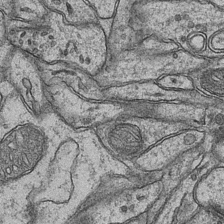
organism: Mouse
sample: CA1 Hippocampus